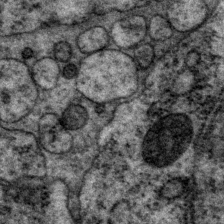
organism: P. pacificus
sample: Pharynx